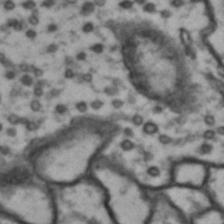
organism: Drosophila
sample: Brain